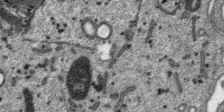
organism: Human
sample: Lung epithelial cells infected with SARS-CoV-2